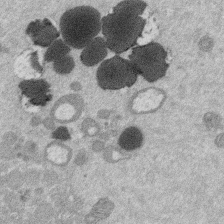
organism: Mouse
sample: Dividing mouse embryo 1 cell stage